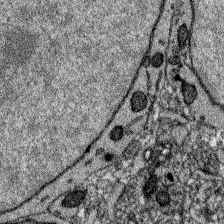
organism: Zebrafish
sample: Larval olfactory bulb